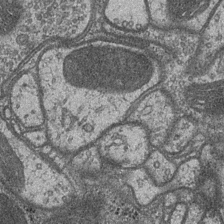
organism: Drosophila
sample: Optic medulla